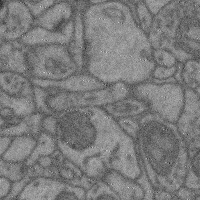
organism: Mouse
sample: Cerebral cortex